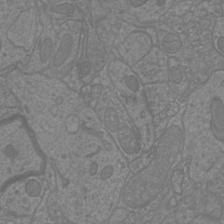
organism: Mouse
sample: Cortical neurons